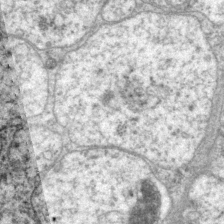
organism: P. pacificus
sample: Pharynx